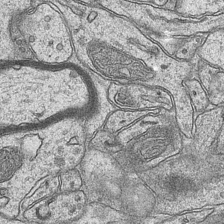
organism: Mouse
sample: CA1 Hippocampus